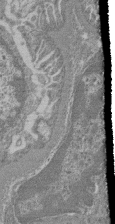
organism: Mouse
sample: Glomerulus